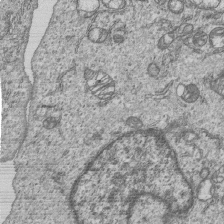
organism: Human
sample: MDA-MB-231 cells